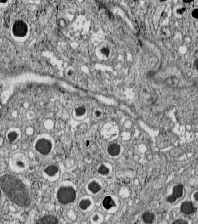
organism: C57BL Mouse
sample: Pancreatic islet